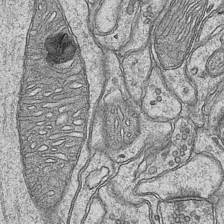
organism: Mouse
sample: CA1 Hippocampus